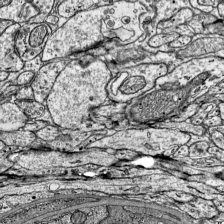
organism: Mouse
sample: Visual Cortex